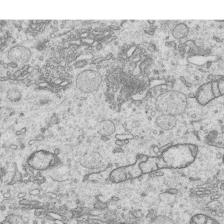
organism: Human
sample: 1205lu cells